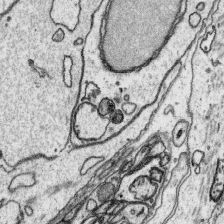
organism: Platynereis dumerilii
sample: Parapodia